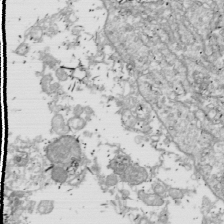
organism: Drosophila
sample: Cell division; meiosis; drosophila spermatocytes